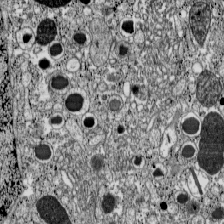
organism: C57BL Mouse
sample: Pancreatic islet